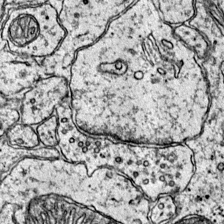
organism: Mouse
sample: Primary visual cortex